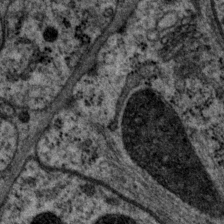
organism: P. pacificus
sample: Pharynx